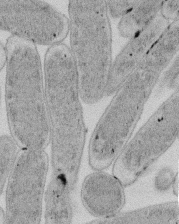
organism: E. coli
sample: Bacterial nucleoid